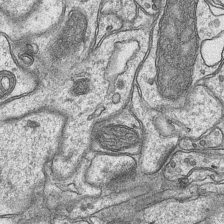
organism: Mouse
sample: CA1 Hippocampus